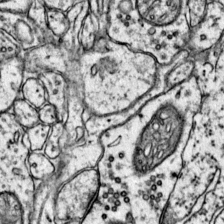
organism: Mouse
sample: Primary visual cortex